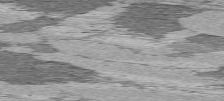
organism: C57BL Mouse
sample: Heart